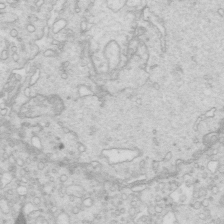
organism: Mouse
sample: Multiciliated cells